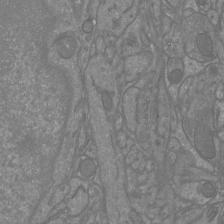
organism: Mouse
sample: Cortical neurons